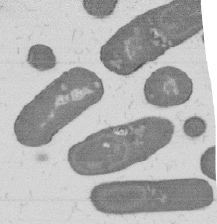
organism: B. subtilis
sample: Bacterial spore